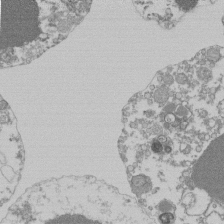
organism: Mouse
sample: Activated Pmel transgenic CD8+ T Cells